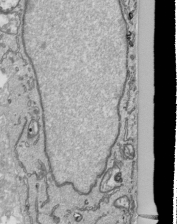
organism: Human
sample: Mitochondria in HCT116 cells